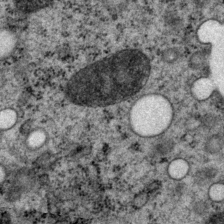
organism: P. pacificus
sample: Pharynx